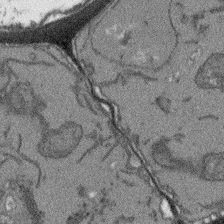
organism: Arabidopsis thaliana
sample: Root tip